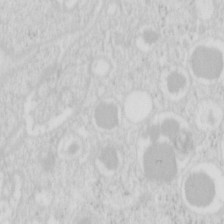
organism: Mouse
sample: Pancreas